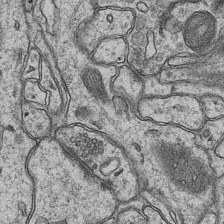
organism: Mouse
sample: CA1 Hippocampus